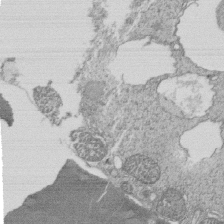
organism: Tetrahymena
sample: Cilia in tetrahymena